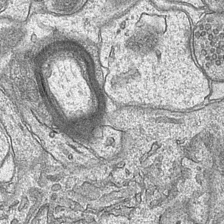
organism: Mouse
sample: CA1 Hippocampus